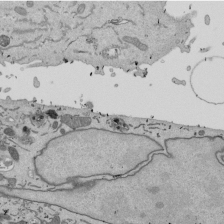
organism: Mouse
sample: ED-1 cell nuclei; centrioles